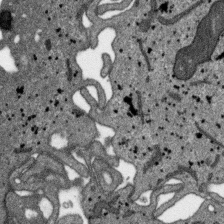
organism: Human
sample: Lung epithelial cells, uninfected (mock) control